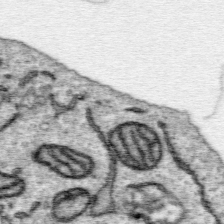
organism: Human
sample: HeLa cells